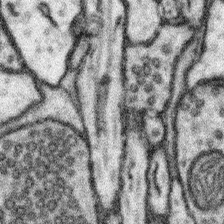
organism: Mouse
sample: Somatosensory cortex neuropil